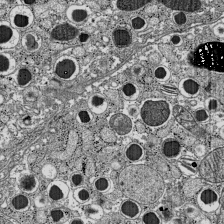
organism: C57BL Mouse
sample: Pancreatic islet